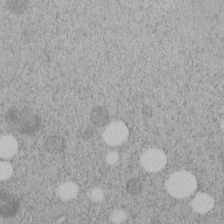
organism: C. elegans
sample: C. elegans embryo early stage